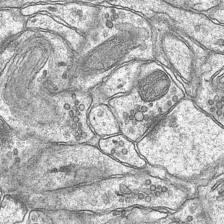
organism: Mouse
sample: CA1 Hippocampus